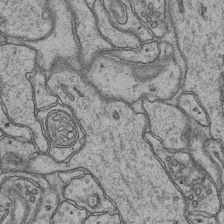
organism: Mouse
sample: CA1 Hippocampus